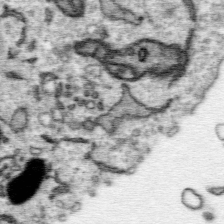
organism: Human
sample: HeLa cells